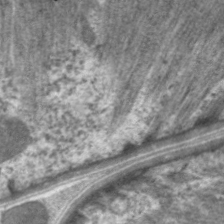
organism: C. elegans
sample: Pharynx